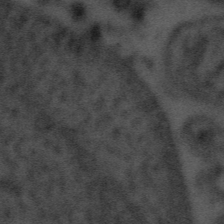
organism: Tuwongella immobilis